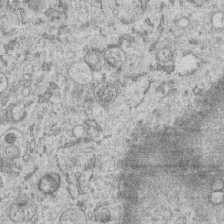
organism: Human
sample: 1205lu cells